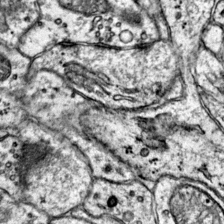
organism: Mouse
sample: Primary visual cortex